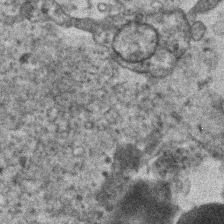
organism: Human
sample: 1205lu cells